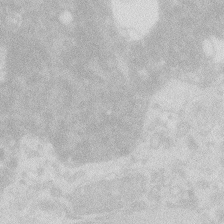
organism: Zebrafish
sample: Macrophage